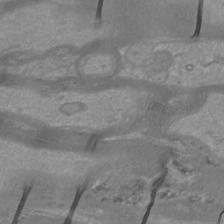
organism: Mouse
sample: Cortical neurons